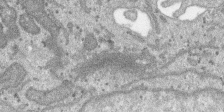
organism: Human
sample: Lung epithelial cells infected with SARS-CoV-2